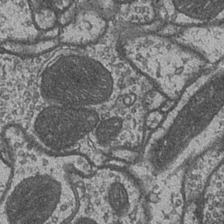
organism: Drosophila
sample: Optic medulla